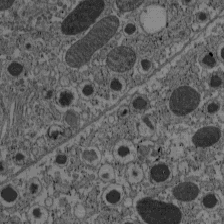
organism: C57BL Mouse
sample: Pancreatic islet